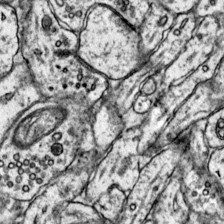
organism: Mouse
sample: Primary visual cortex